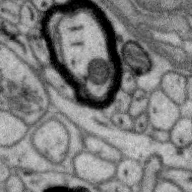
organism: Zebra finch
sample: Brain